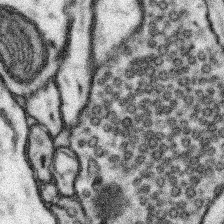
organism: Mouse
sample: Somatosensory cortex neuropil